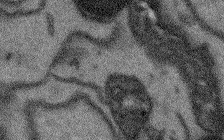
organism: Arabidopsis thaliana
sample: Root tip